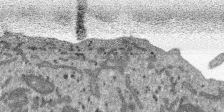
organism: Human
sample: Lung epithelial cells infected with SARS-CoV-2